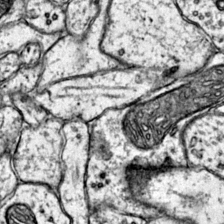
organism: Mouse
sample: Primary visual cortex